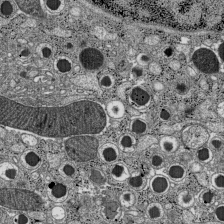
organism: C57BL Mouse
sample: Pancreatic islet